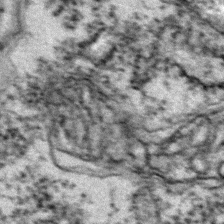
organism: Zebrafish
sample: Zebrafish embryo